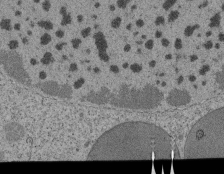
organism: Tetrahymena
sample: Cilia in tetrahymena